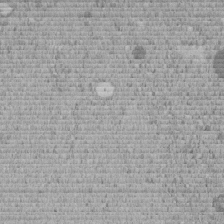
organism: C. elegans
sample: C. elegans embryo early stage